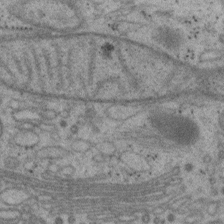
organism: Human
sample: HeLa cells